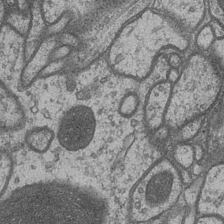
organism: Drosophila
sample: Optic medulla